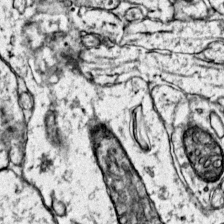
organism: Mouse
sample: Primary visual cortex